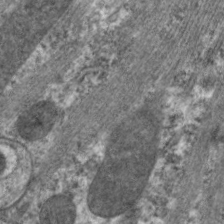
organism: C. elegans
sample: Pharynx